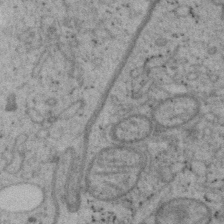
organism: Human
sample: HeLa cells